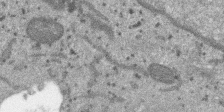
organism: Human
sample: Lung epithelial cells infected with SARS-CoV-2